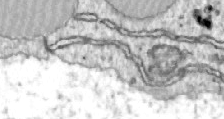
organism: Zebrafish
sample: Actinotrichia fibers